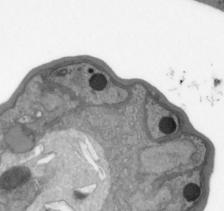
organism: Plasmodium falciparum